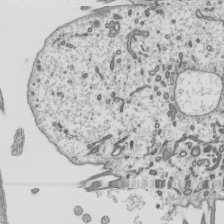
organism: Mouse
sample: Mouse epididymis efferent ductule cilia